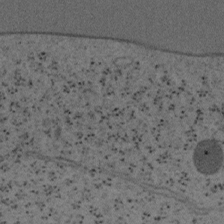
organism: Human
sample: HeLa cells